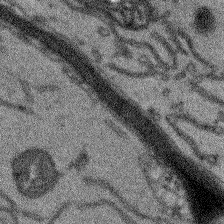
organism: Arabidopsis thaliana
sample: Root tip